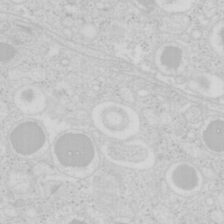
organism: Mouse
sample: Pancreas